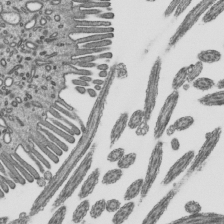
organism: Mouse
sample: Mouse epididymis efferent ductule cilia